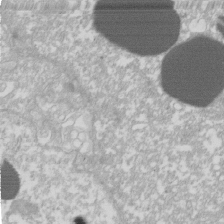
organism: Xenopus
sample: Cilia; centrioles in frog embryo cells